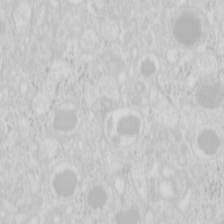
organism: Mouse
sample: Pancreas